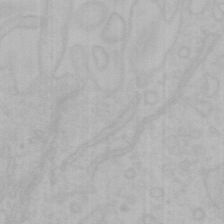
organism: Mouse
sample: Choroid plexus